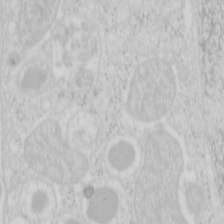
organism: Mouse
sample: Pancreas